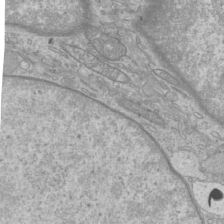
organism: Mouse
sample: Cilia; mouse epididymis